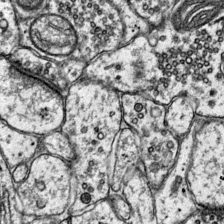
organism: Mouse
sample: Primary visual cortex